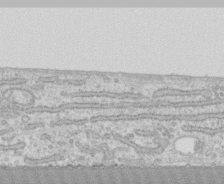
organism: Human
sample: CRL-1474